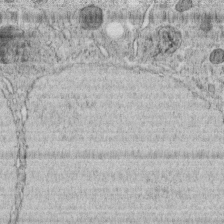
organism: C. elegans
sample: C. elegans embryo early stage